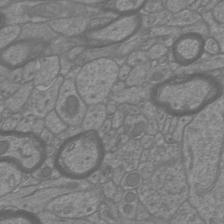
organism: Mouse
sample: Cortical neurons